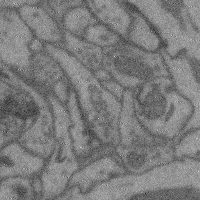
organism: Mouse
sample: Cerebral cortex